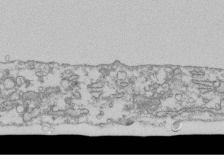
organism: Human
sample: Fibroblast cells